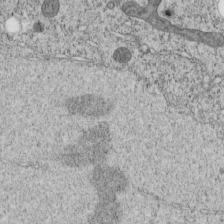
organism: C. elegans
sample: C. elegans embryo early stage